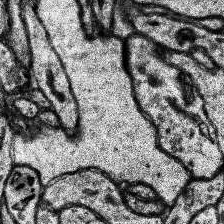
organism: Human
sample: Temporal Lobe